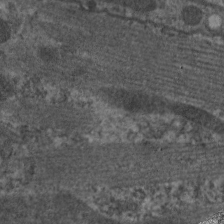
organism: C. elegans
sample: Pharynx